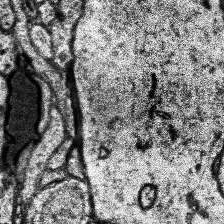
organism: Human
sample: Temporal Lobe